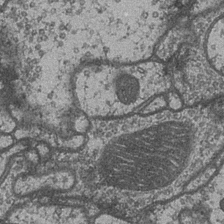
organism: Drosophila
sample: Optic medulla